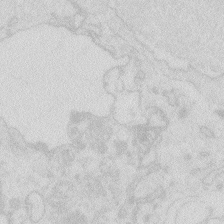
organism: Zebrafish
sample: Macrophage